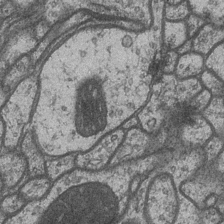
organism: Drosophila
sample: Optic medulla